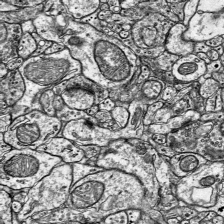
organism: Mouse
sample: Visual Cortex